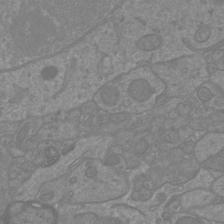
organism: Mouse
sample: Cortical neurons